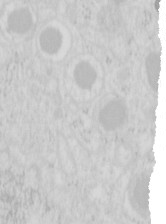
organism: Mouse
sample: Pancreas